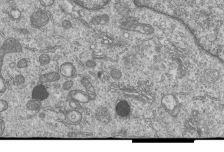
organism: Human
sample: MDA-MB-231 cells